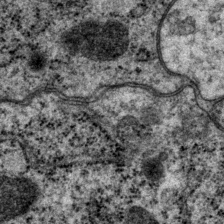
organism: P. pacificus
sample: Pharynx